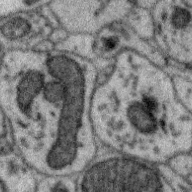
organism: Zebra finch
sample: Brain